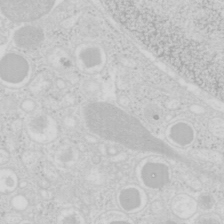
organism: Mouse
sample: Pancreas